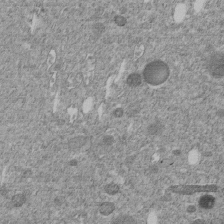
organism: C. elegans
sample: C. elegans embryo early stage